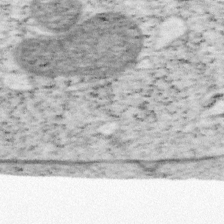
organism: Mouse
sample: OT-I killer T cells with ID8 ovarian cancer cells